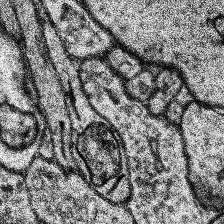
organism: Human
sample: Temporal Lobe